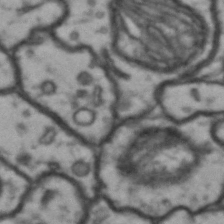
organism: Drosophila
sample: Brain